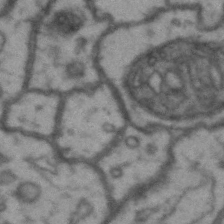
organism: Drosophila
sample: Brain